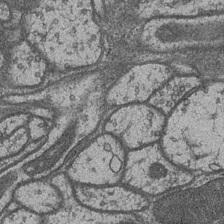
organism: Drosophila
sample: Optic medulla